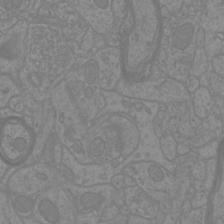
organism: Mouse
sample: Cortical neurons